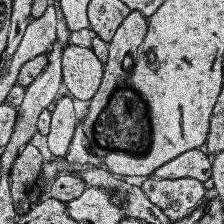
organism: Human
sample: Temporal Lobe